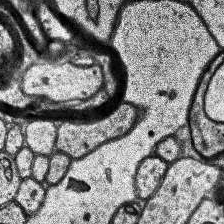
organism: Human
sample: Temporal Lobe